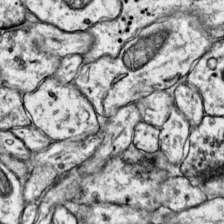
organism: Mouse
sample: Primary visual cortex